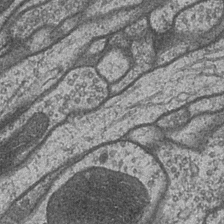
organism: Drosophila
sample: Optic medulla